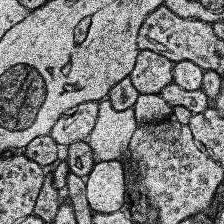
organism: Human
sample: Temporal Lobe